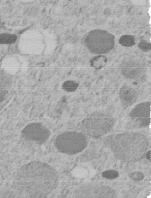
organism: C. elegans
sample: C. elegans embryo early stage